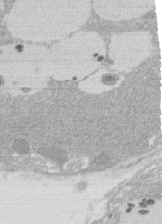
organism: Rat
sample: Salivary granule